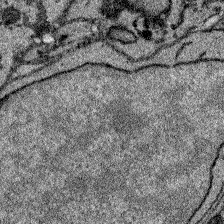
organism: Zebrafish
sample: Larval olfactory bulb